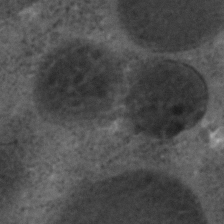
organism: C. elegans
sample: C. elegans embryo